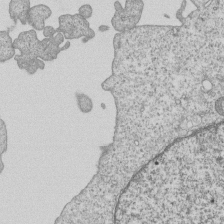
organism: Human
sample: MDA-MB-231 cells